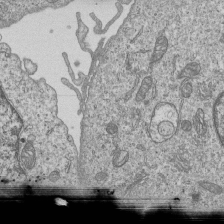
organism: Human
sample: MDA-MB-231 cells